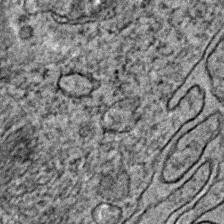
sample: Trachea